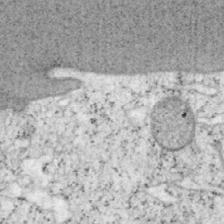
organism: Mouse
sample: OT-I killer T cells with ID8 ovarian cancer cells